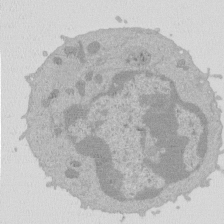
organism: Mouse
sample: Activated Pmel transgenic CD8+ T Cells